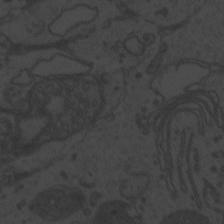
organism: Zebrafish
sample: Macrophage infected with Toxoplasma gondii